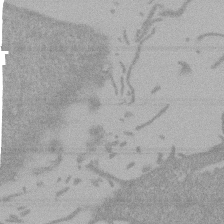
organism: Mouse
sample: ED-1 cell nuclei; centrioles